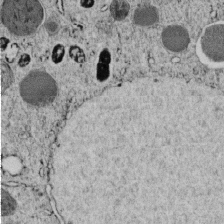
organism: C. elegans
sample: C. elegans embryo early stage